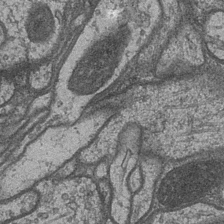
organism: Drosophila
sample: Optic medulla